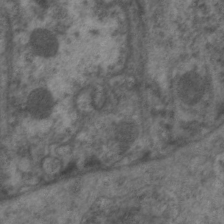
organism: C. elegans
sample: Pharynx